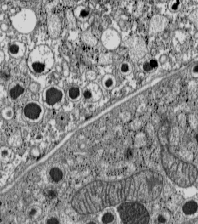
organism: C57BL Mouse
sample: Pancreatic islet